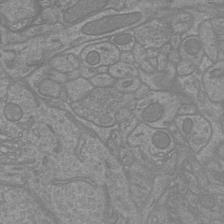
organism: Mouse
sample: Cortical neurons